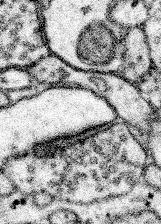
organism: Mouse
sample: Somatosensory cortex neuropil